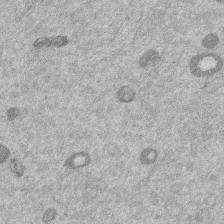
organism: Mouse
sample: Dividing mouse embryo 1 cell stage